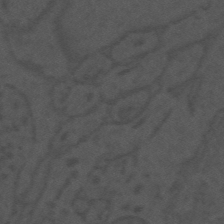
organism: Mouse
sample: Suprachiasmatic nucleus